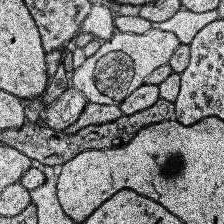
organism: Human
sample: Temporal Lobe